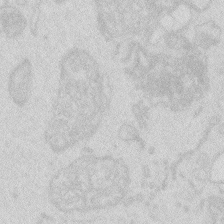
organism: Zebrafish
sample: Macrophage